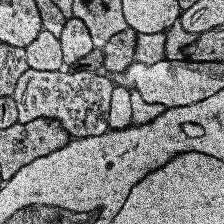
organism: Human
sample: Temporal Lobe